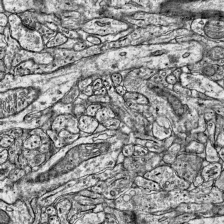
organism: Mouse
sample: Visual Cortex